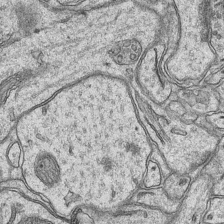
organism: Mouse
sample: CA1 Hippocampus